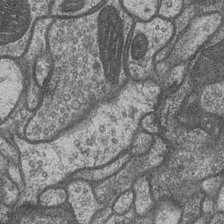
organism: Drosophila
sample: Optic medulla